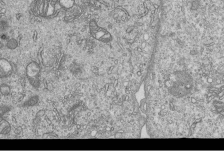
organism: Human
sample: MDA-MB-231 cells